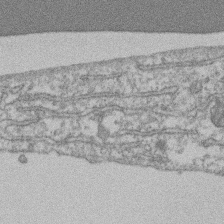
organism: Mouse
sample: T cell stromal cell synapse